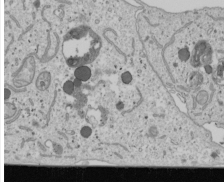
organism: Human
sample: Mitochondria in U2OS cells